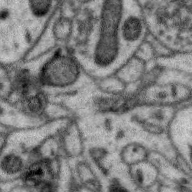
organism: Zebra finch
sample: Brain